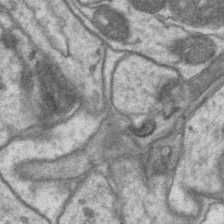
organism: Mouse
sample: CA1 Hippocampus